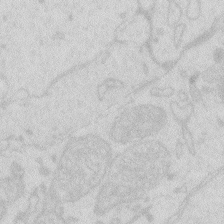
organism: Zebrafish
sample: Macrophage